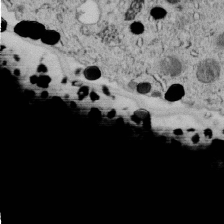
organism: C. elegans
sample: C. elegans embryo early stage